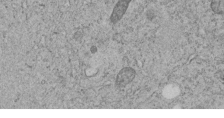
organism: C. elegans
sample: C. elegans embryo early stage